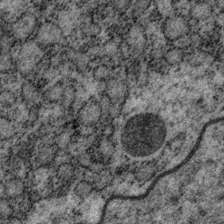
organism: P. pacificus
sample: Pharynx